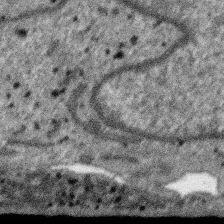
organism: Human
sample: Lung epithelial cells infected with SARS-CoV-2